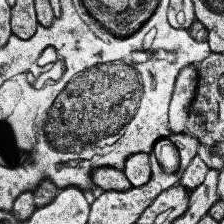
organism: Human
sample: Temporal Lobe